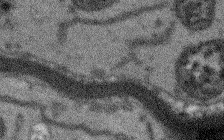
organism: Arabidopsis thaliana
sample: Root tip